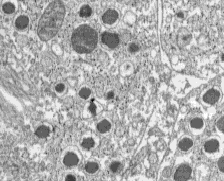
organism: C57BL Mouse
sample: Pancreatic islet